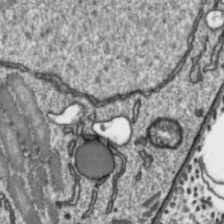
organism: Toxoplasma gondii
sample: Parasites in a vacuole inside a host cell